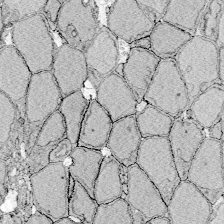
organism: Zebrafish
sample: Whole-Brain